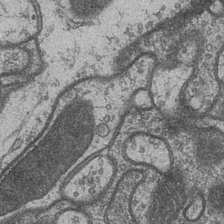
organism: Drosophila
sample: Optic medulla